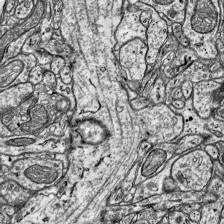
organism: Mouse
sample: Visual Cortex